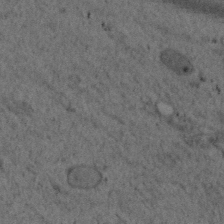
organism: Human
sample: HeLa cells